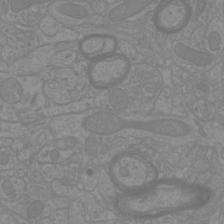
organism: Mouse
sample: Cortical neurons